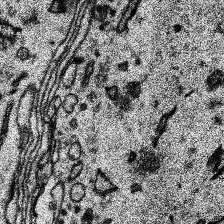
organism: Human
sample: Temporal Lobe